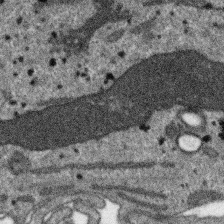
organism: Human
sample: Lung epithelial cells infected with SARS-CoV-2